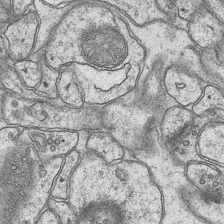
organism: Mouse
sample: CA1 Hippocampus